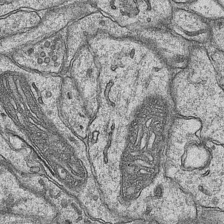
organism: Mouse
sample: CA1 Hippocampus